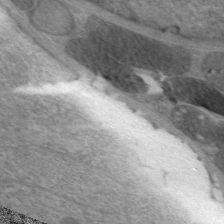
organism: C. elegans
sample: Pharynx